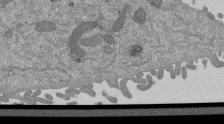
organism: Mouse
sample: ED-1 cell nuclei; centrioles